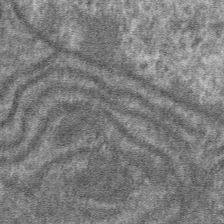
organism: Mouse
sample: Mouse hepatocytes